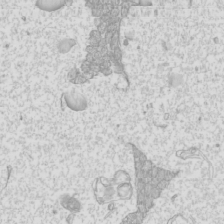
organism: Mouse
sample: Cilia; mouse epididymis